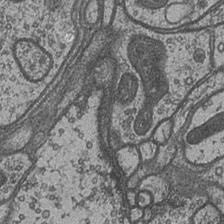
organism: Drosophila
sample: Optic medulla